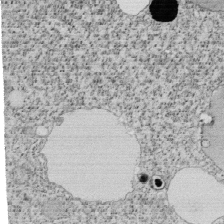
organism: Tetrahymena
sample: Cilia in tetrahymena